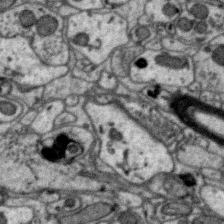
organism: Zebra finch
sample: Brain